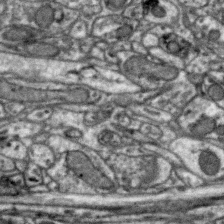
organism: Zebra finch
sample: Brain